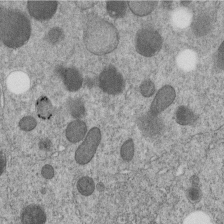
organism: C. elegans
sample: C. elegans embryo early stage